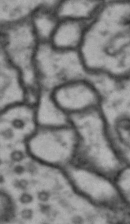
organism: Drosophila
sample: Brain